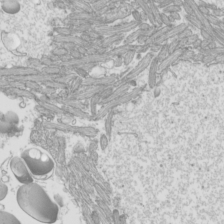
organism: Mouse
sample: Cilia; mouse epididymis